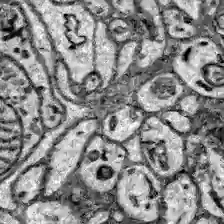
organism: Zebrafish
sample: Brain